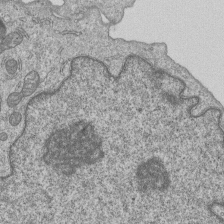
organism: Human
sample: MDA-MB-231 cells